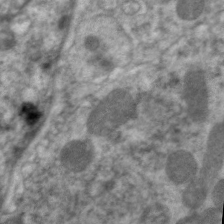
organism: C. elegans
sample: Pharynx